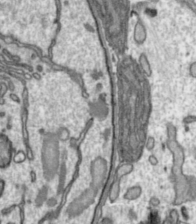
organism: Toxoplasma gondii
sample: Parasites in a vacuole inside a host cell